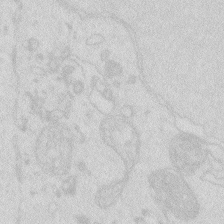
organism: Zebrafish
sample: Macrophage